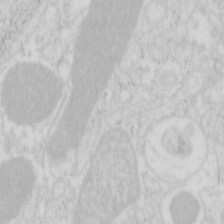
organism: Mouse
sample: Pancreas